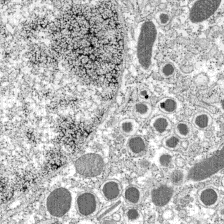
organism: C57BL Mouse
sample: Pancreatic islet